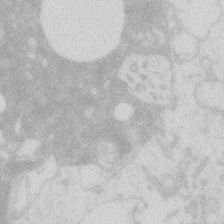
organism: Zebrafish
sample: Macrophage